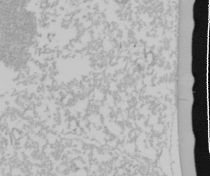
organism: Mouse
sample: Cancer cell death in ED-1 cells